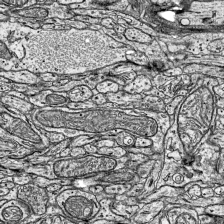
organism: Mouse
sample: Visual Cortex